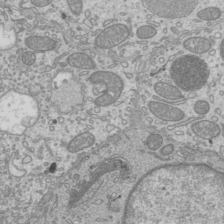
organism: Mouse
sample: Cilia; mouse epididymis